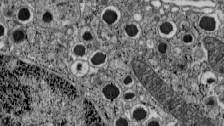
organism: C57BL Mouse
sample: Pancreatic islet